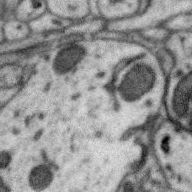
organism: Zebra finch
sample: Brain